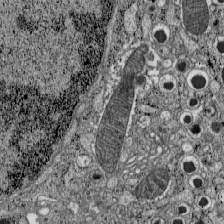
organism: C57BL Mouse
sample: Pancreatic islet